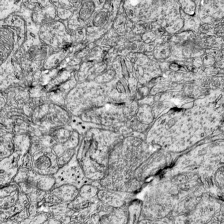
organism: Mouse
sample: Visual Cortex